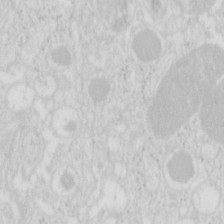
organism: Mouse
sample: Pancreas